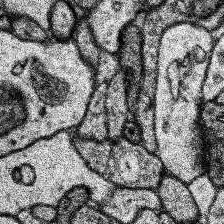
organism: Human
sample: Temporal Lobe